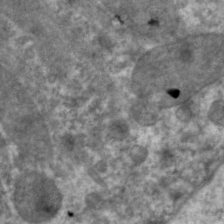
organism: C. elegans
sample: Pharynx